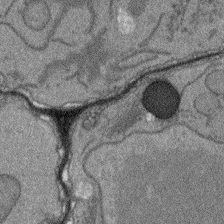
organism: Arabidopsis thaliana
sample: Root tip